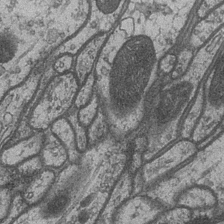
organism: Drosophila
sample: Optic medulla